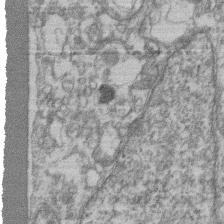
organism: Mouse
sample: T cell stromal cell synapse